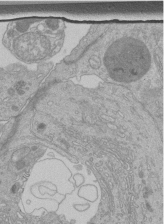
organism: Human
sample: Retinal organoid Rod and Cone cells